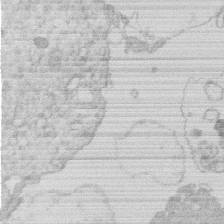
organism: Human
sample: Macrophage cells